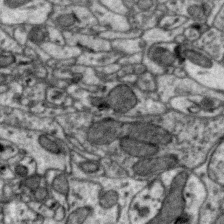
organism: Zebra finch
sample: Brain